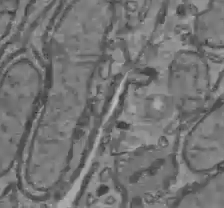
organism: C57BL Mouse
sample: Liver